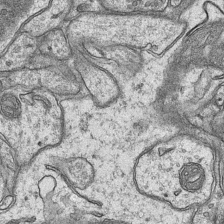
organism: Mouse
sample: CA1 Hippocampus